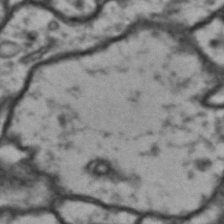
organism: Drosophila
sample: Brain